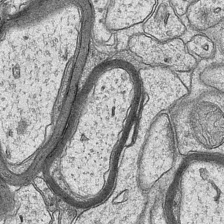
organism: Mouse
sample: CA1 Hippocampus